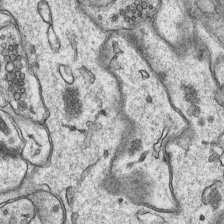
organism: Mouse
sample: CA1 Hippocampus